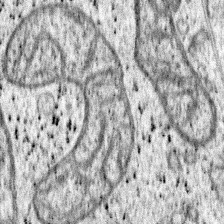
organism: Human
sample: HeLa cells